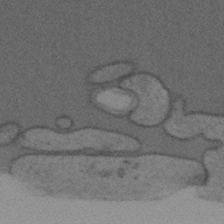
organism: Human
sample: HeLa cells